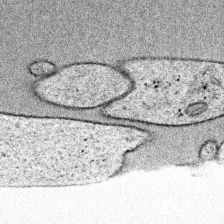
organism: Human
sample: HeLa cells